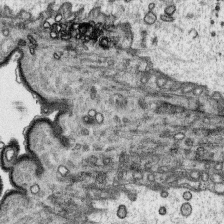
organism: Platynereis dumerilii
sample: Parapodia